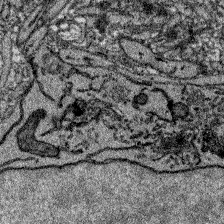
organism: Zebrafish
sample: Larval olfactory bulb